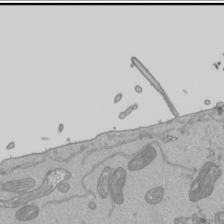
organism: Human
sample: Mitochondria in HCT116 cells